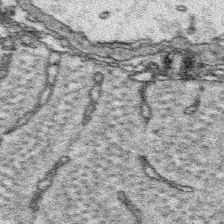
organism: Platynereis dumerilii